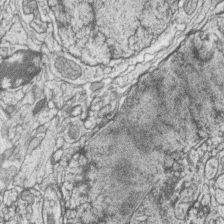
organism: Zebrafish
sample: synaptic ribbons in rod cells and cone cells